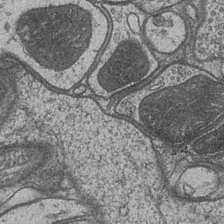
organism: Drosophila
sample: Optic medulla